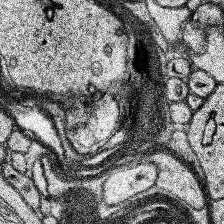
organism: Human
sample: Temporal Lobe